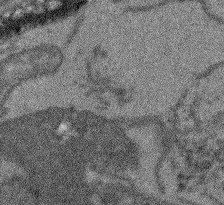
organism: Arabidopsis thaliana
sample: Root tip